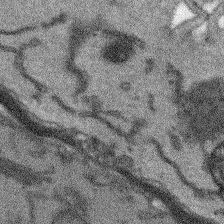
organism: Arabidopsis thaliana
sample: Root tip